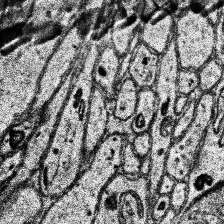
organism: Human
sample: Temporal Lobe